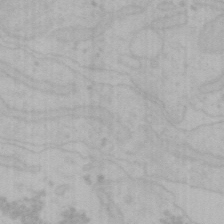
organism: Mouse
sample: Choroid plexus